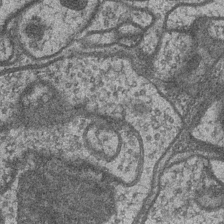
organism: Drosophila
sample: Optic medulla